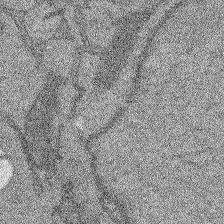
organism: Human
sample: HeLa cells